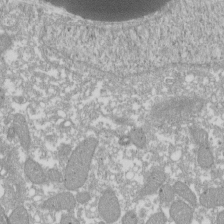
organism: Xenopus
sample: Cilia; centrioles in frog embryo cells